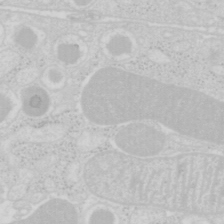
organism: Mouse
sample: Pancreas